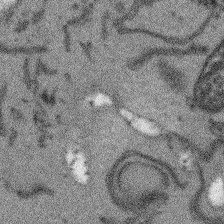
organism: Arabidopsis thaliana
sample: Root tip